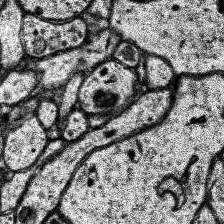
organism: Human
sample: Temporal Lobe